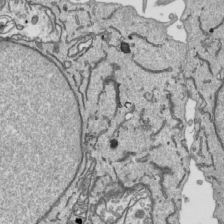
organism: Human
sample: Mitochondria in HCT116 cells